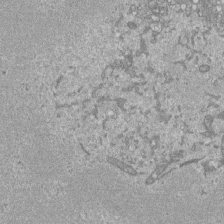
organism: Mouse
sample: ED-1 cell nuclei; centrioles